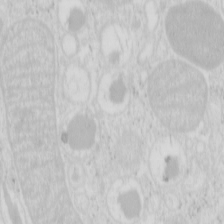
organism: Mouse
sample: Pancreas